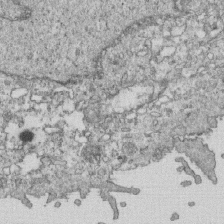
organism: Human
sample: HeLa cell HIV synapse